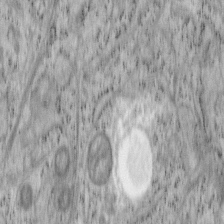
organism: Human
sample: HeLa cells